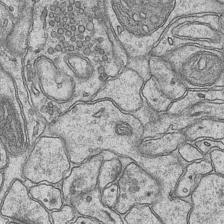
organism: Mouse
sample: CA1 Hippocampus